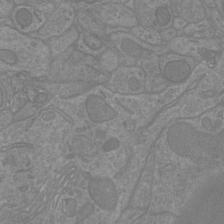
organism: Mouse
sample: Cortical neurons